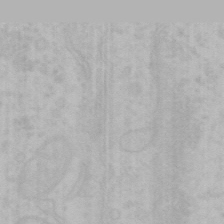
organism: Mouse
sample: Choroid plexus